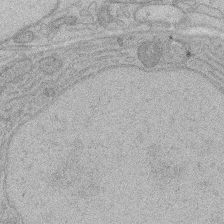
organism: Rat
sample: Salivary granule